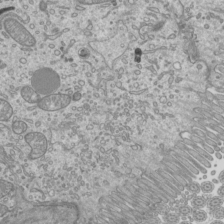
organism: Mouse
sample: Cilia; mouse epididymis